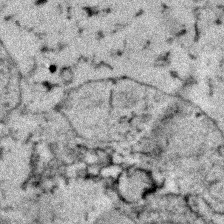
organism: Zebrafish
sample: Zebrafish embryo